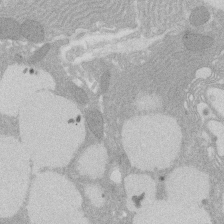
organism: Rat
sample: Salivary granule